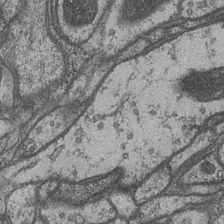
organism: Drosophila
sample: Optic medulla